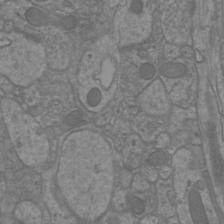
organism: Mouse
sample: Cortical neurons